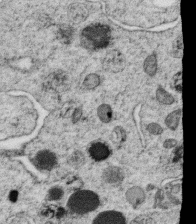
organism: C. elegans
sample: C. elegans oocyte; sperm cells